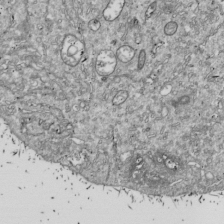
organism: Drosophila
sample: Cell division; meiosis; drosophila spermatocytes